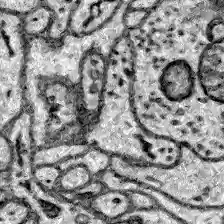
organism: Zebrafish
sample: Brain